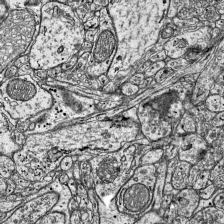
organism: Mouse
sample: Visual Cortex